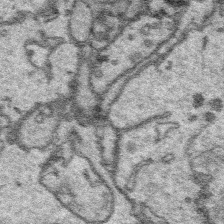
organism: Platynereis dumerilii